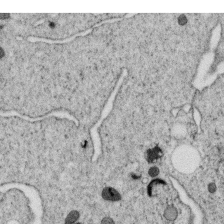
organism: C. elegans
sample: C. elegans oocyte; sperm cells